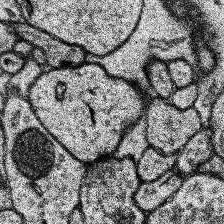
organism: Human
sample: Temporal Lobe